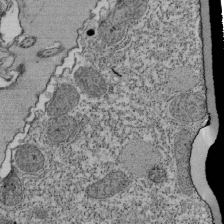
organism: Tetrahymena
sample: Cilia in tetrahymena